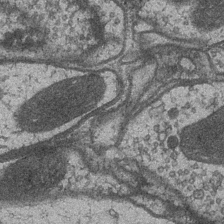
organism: Drosophila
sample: Optic medulla